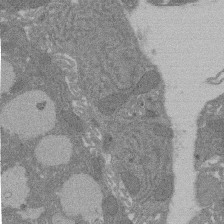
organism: Rat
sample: Salivary granule